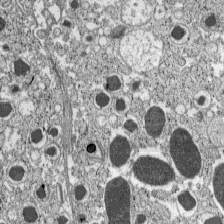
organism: C57BL Mouse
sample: Pancreatic islet